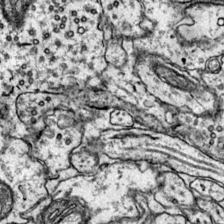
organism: Mouse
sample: Primary visual cortex